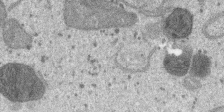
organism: Human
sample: Lung epithelial cells infected with SARS-CoV-2